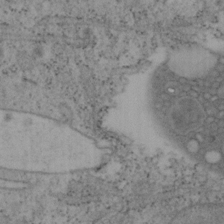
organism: Mouse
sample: OT-I killer T cells with ID8 ovarian cancer cells